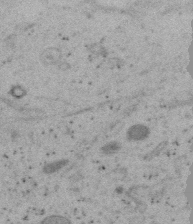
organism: Human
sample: HeLa cells